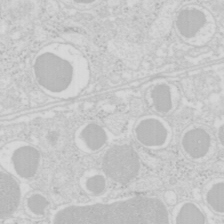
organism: Mouse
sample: Pancreas